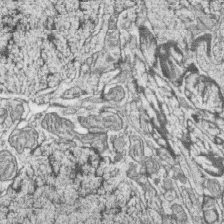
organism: Zebrafish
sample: synaptic ribbons in rod cells and cone cells